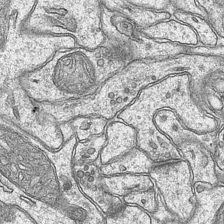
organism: Mouse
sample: CA1 Hippocampus